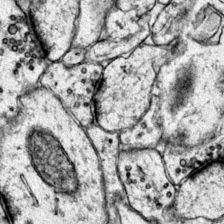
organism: Mouse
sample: Primary visual cortex